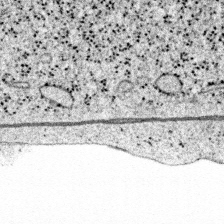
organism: Human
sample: HeLa cells